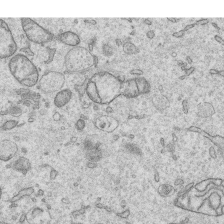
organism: Human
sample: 1205lu cells